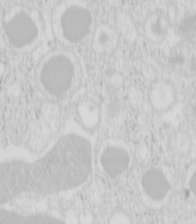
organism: Mouse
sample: Pancreas